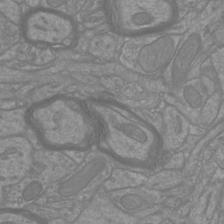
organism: Mouse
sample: Cortical neurons